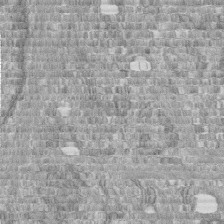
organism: Human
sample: Centriole in fibroblast cells